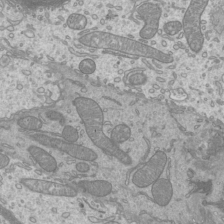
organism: Mouse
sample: Cilia; mouse epididymis